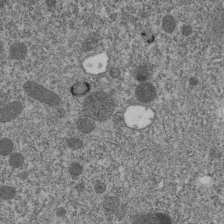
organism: C. elegans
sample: C. elegans embryo early stage